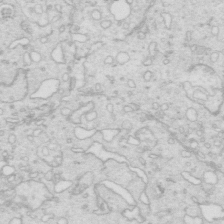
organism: Mouse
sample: Multiciliated cells